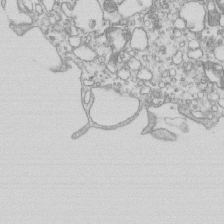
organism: Mouse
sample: Macrophages